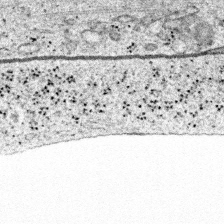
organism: Human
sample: HeLa cells